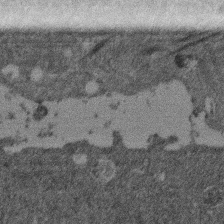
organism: Mouse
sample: Dividing mouse embryo 1 cell stage